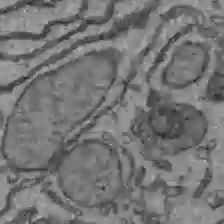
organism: C57BL Mouse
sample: Liver